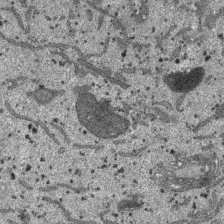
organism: Human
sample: Lung epithelial cells infected with SARS-CoV-2